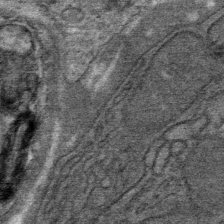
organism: Mouse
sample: Mouse Salivary gland